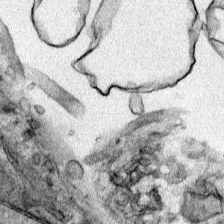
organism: Human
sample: Mitochondria in HCT116 cells